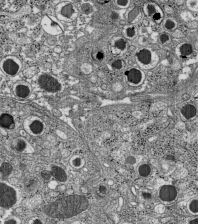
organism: C57BL Mouse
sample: Pancreatic islet